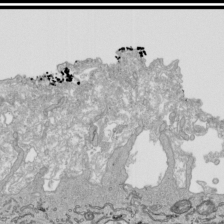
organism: Human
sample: Mitochondria in HCT116 cells